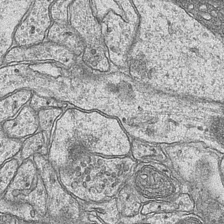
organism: Mouse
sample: CA1 Hippocampus